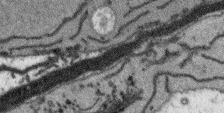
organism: Arabidopsis thaliana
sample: Root tip